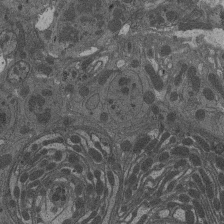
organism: Drosophila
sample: Antenna